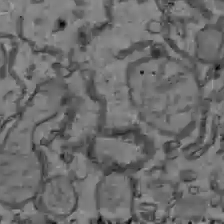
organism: C57BL Mouse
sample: Liver